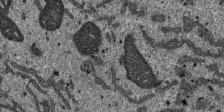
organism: Human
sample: Lung epithelial cells infected with SARS-CoV-2